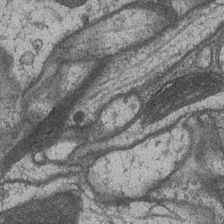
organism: Drosophila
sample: Optic medulla